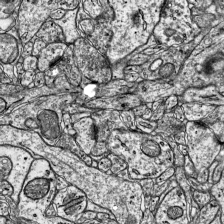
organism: Mouse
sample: Visual Cortex